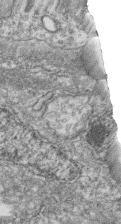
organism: Zebrafish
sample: Cilia; retinal pigment epithelium